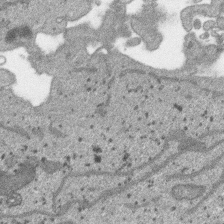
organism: Human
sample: Lung epithelial cells infected with SARS-CoV-2